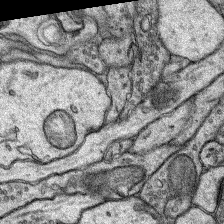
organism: Rat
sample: Hippocampus